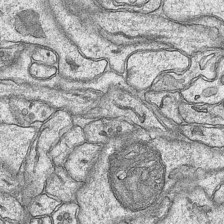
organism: Mouse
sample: CA1 Hippocampus